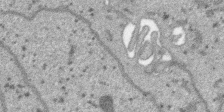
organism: Human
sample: Lung epithelial cells infected with SARS-CoV-2